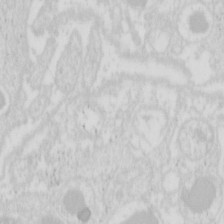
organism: Mouse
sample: Pancreas